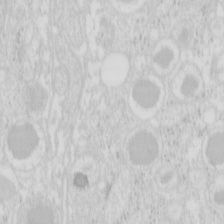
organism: Mouse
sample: Pancreas